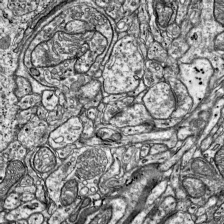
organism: Mouse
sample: Visual Cortex